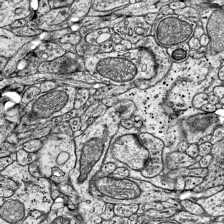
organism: Mouse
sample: Visual Cortex